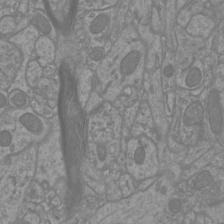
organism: Mouse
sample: Cortical neurons